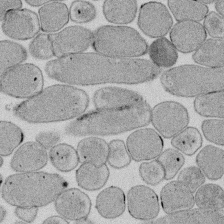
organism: E. coli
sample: Bacterial nucleoid